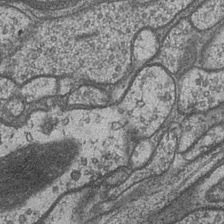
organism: Drosophila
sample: Optic medulla